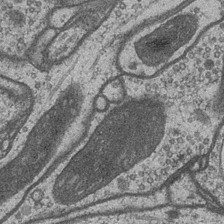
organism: Drosophila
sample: Optic medulla